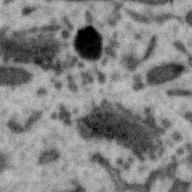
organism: Zebra finch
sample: Brain